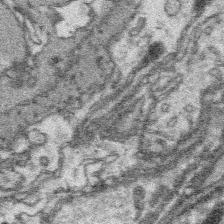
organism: Platynereis dumerilii